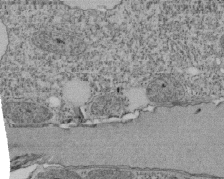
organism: Tetrahymena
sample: Cilia in tetrahymena